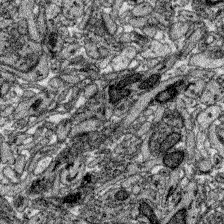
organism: Zebrafish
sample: Larval olfactory bulb